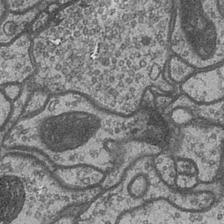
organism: Drosophila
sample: Optic medulla